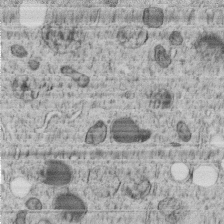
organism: C. elegans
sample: C. elegans embryo early stage